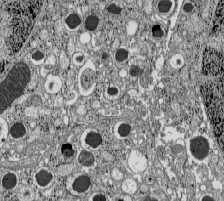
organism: C57BL Mouse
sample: Pancreatic islet